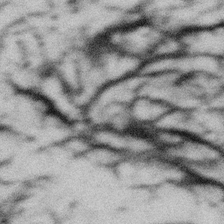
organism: Gemmata obscuriglobus